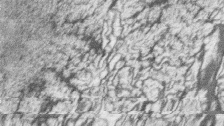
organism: Zebrafish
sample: synaptic ribbons in rod cells and cone cells